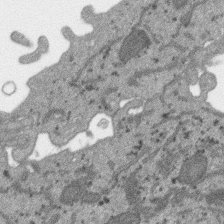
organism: Human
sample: Lung epithelial cells infected with SARS-CoV-2